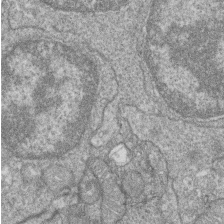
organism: Zebrafish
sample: Cilia; retinal pigment epithelium